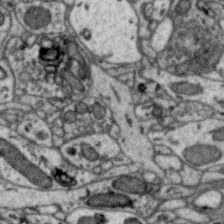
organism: Zebra finch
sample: Brain